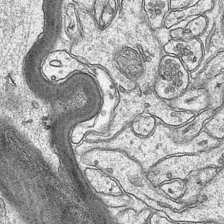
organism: Mouse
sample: CA1 Hippocampus